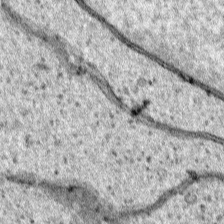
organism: Human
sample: Mitochondria in HCT116 cells